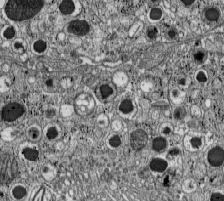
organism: C57BL Mouse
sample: Pancreatic islet